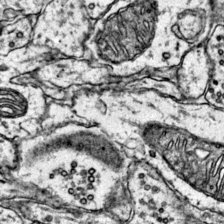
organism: Mouse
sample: Primary visual cortex